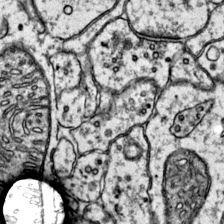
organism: Mouse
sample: Primary visual cortex